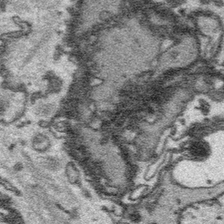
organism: Platynereis dumerilii